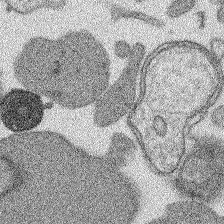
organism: Human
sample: HeLa cells